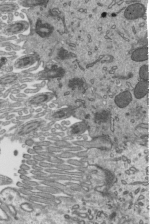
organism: Mouse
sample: Mouse epididymis efferent ductule cilia